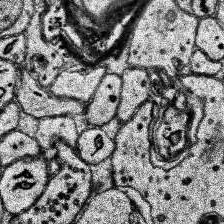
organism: Human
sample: Temporal Lobe